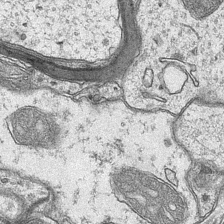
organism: Mouse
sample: CA1 Hippocampus